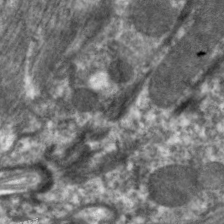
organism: C. elegans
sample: Pharynx